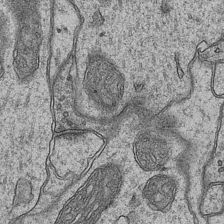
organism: Mouse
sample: CA1 Hippocampus